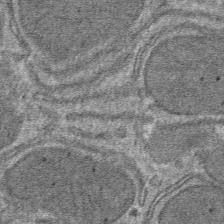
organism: Mouse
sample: Mouse hepatocytes